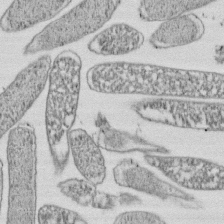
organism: E. coli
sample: Bacterial nucleoid